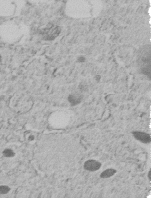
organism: C. elegans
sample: C. elegans embryo early stage